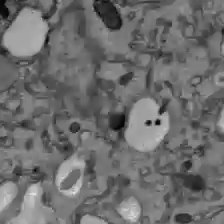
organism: C57BL Mouse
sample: Liver